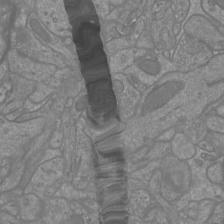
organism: Mouse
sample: Cortical neurons